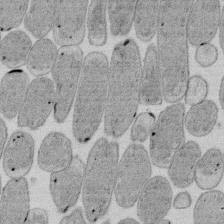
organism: E. coli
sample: Bacterial nucleoid